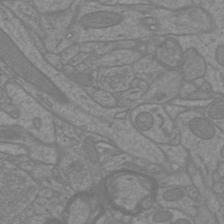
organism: Mouse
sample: Cortical neurons